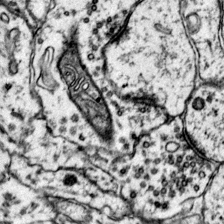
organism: Mouse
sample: Primary visual cortex